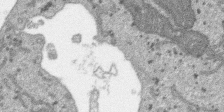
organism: Human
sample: Lung epithelial cells infected with SARS-CoV-2